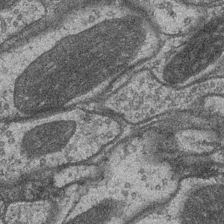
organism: Drosophila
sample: Optic medulla